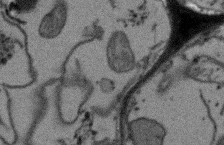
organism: Arabidopsis thaliana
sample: Root tip